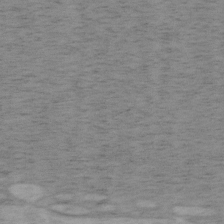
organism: Mouse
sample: OT-I killer T cells with ID8 ovarian cancer cells